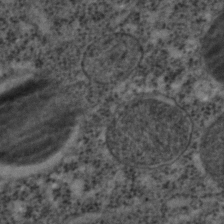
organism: C. elegans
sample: C. elegans embryo